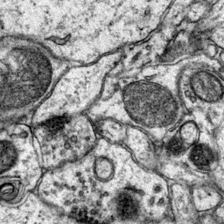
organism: Mouse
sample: Primary visual cortex